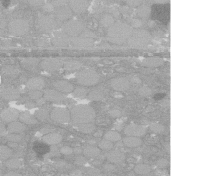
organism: C. elegans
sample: C. elegans oocyte; sperm cells